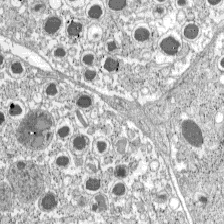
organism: C57BL Mouse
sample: Pancreatic islet